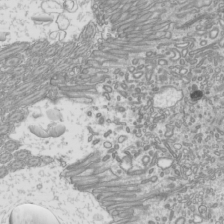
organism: Mouse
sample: Cilia; mouse epididymis